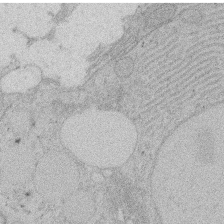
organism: Rat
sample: Salivary granule